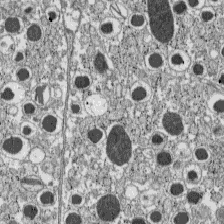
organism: C57BL Mouse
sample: Pancreatic islet